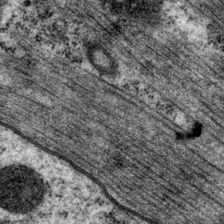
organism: P. pacificus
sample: Pharynx